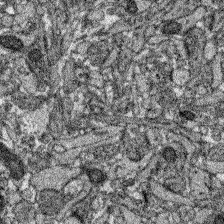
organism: Zebrafish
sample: Larval olfactory bulb